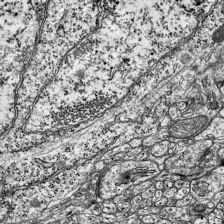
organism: Mouse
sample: Visual Cortex